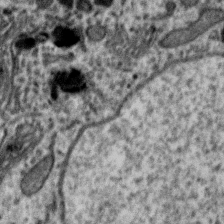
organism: Zebra finch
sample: Brain